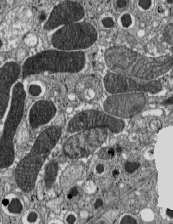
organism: C57BL Mouse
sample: Pancreatic islet